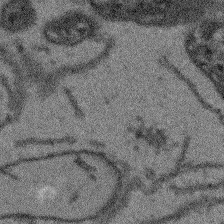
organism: Arabidopsis thaliana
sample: Root tip